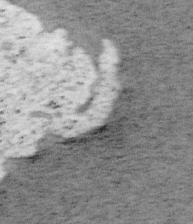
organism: Mouse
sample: OT-I killer T cells with ID8 ovarian cancer cells